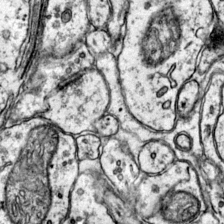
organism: Mouse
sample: Primary visual cortex